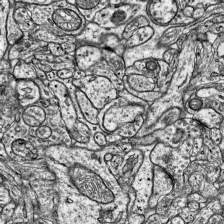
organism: Mouse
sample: Visual Cortex